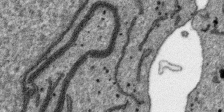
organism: Human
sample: Lung epithelial cells, uninfected (mock) control